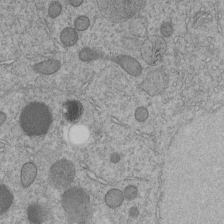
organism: C. elegans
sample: C. elegans embryo early stage